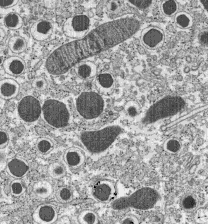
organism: C57BL Mouse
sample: Pancreatic islet